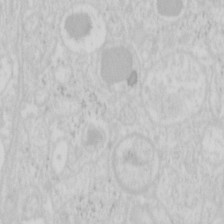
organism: Mouse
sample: Pancreas